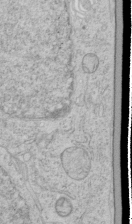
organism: Human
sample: Mitochondria in HCT116 cells